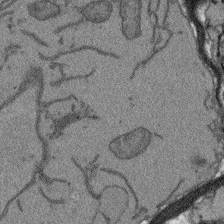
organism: Arabidopsis thaliana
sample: Root tip